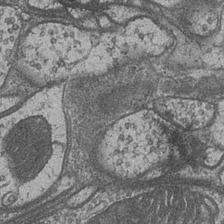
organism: Drosophila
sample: Optic medulla